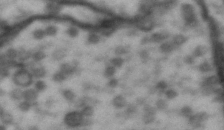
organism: Drosophila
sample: Brain